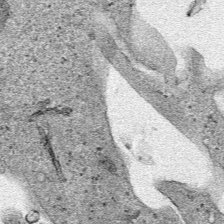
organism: Human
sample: Mitochondria in HCT116 cells